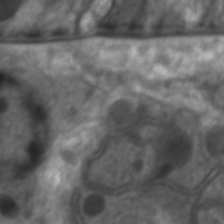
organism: C. elegans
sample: Pharynx